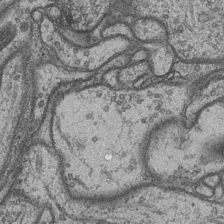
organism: Drosophila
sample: Optic medulla